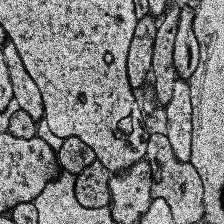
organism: Human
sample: Temporal Lobe